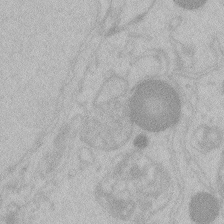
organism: Zebrafish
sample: Macrophage infected with Toxoplasma gondii